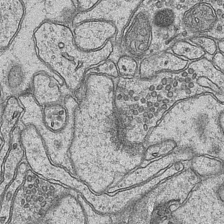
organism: Mouse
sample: CA1 Hippocampus